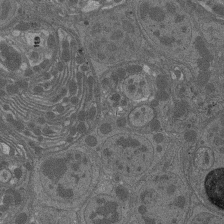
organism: Drosophila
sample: Antenna